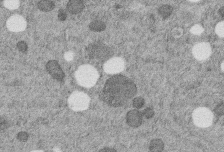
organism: C. elegans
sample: C. elegans embryo early stage